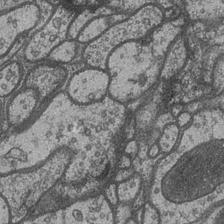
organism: Drosophila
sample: Optic medulla